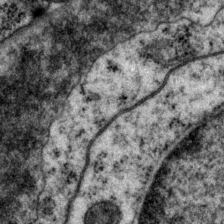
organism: P. pacificus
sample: Pharynx